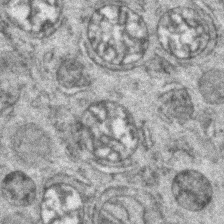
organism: Zebrafish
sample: Zebrafish embryo